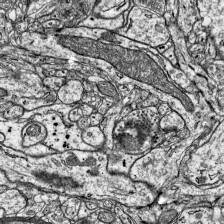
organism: Mouse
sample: Visual Cortex